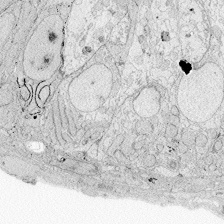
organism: Zebrafish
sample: Whole-Brain